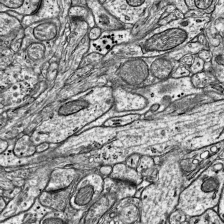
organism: Mouse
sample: Visual Cortex